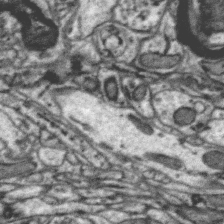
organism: Zebra finch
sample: Brain